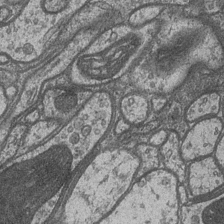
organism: Drosophila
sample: Optic medulla